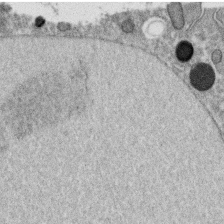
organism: C. elegans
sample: C. elegans oocyte; sperm cells